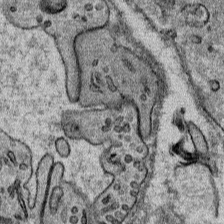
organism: Mouse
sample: Mouse Salivary gland